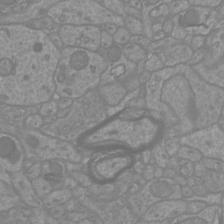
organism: Mouse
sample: Cortical neurons